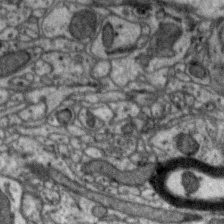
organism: Zebra finch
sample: Brain